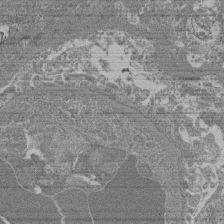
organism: Mouse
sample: Glomerulus